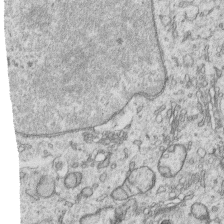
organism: Human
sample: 1205lu cells